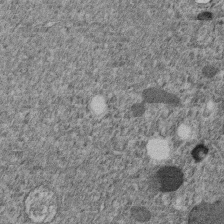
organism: C. elegans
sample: C. elegans embryo early stage